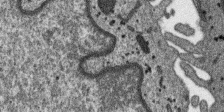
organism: Human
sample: Lung epithelial cells infected with SARS-CoV-2